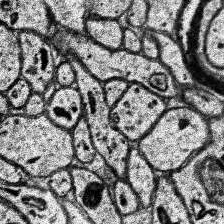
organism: Human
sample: Temporal Lobe